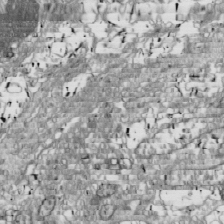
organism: Drosophila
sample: Cell division; meiosis; drosophila spermatocytes